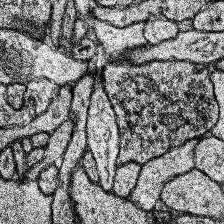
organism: Human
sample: Temporal Lobe